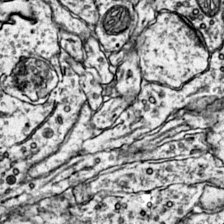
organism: Mouse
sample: Primary visual cortex